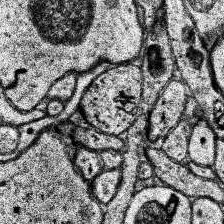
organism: Human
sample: Temporal Lobe